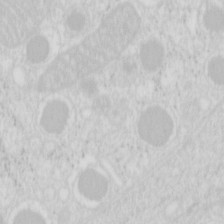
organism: Mouse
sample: Pancreas